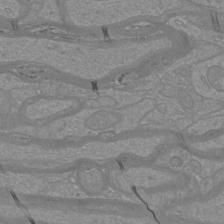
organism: Mouse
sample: Cortical neurons